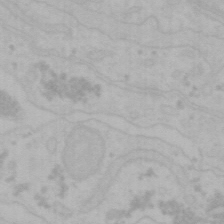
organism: Mouse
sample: Choroid plexus